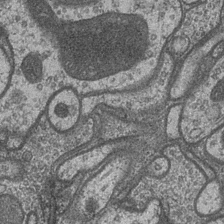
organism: Drosophila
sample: Optic medulla